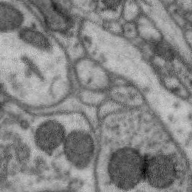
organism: Zebra finch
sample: Brain